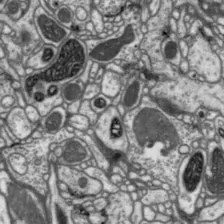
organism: Drosophila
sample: Protocerebral bridge